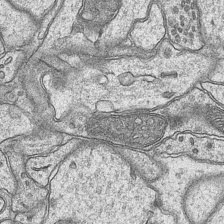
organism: Mouse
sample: CA1 Hippocampus